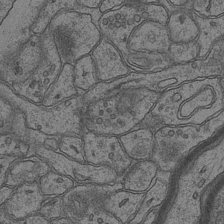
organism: Mouse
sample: CA1 Hippocampus